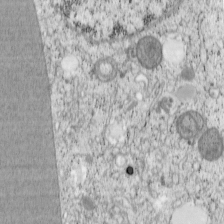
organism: African green monkey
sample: COS-7 cells